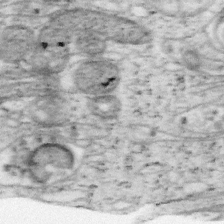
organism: Mouse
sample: OT-I killer T cells with ID8 ovarian cancer cells